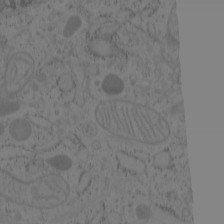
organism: Human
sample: HeLa cells